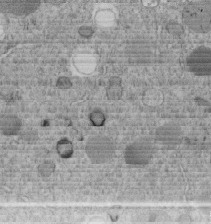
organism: C. elegans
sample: C. elegans embryo early stage